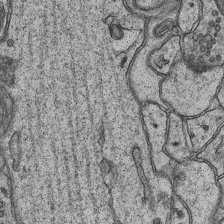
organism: Mouse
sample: CA1 Hippocampus